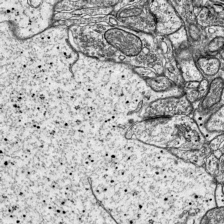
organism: Mouse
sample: Visual Cortex